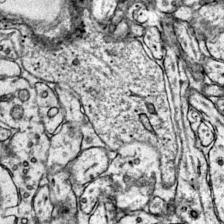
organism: Mouse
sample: Primary visual cortex